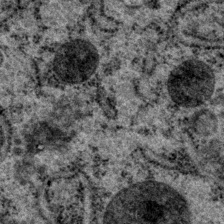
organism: P. pacificus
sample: Pharynx